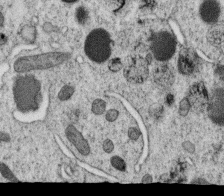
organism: C. elegans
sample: C. elegans oocyte; sperm cells